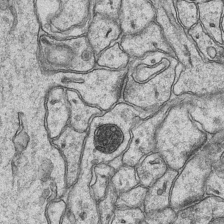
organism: Mouse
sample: CA1 Hippocampus